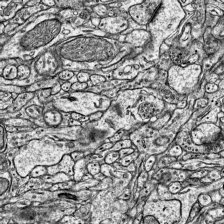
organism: Mouse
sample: Visual Cortex